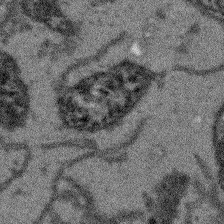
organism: Arabidopsis thaliana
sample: Root tip